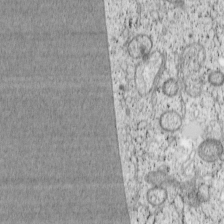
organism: African green monkey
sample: COS-7 cells